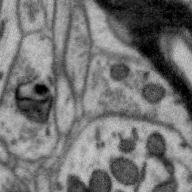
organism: Zebra finch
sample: Brain